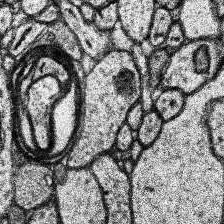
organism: Human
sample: Temporal Lobe